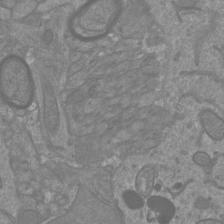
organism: Mouse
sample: Cortical neurons